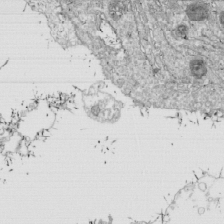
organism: Drosophila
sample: Cell division; meiosis; drosophila spermatocytes